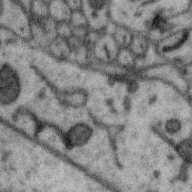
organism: Zebra finch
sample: Brain